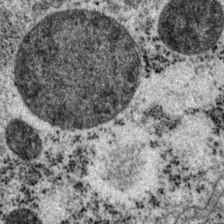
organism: P. pacificus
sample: Pharynx